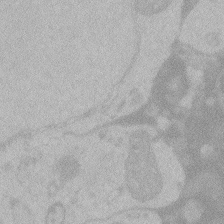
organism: Zebrafish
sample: Macrophage infected with Toxoplasma gondii